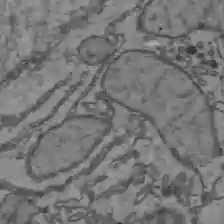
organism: C57BL Mouse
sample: Liver